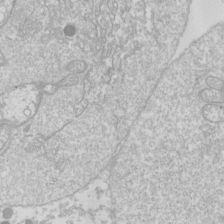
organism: Drosophila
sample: Cell division; meiosis; drosophila spermatocytes